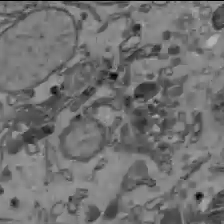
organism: C57BL Mouse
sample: Liver